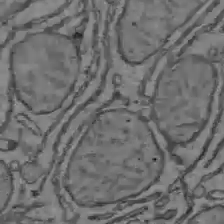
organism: C57BL Mouse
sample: Liver